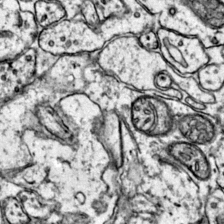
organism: Mouse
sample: Primary visual cortex